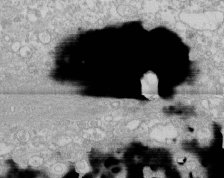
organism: Human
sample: CRL-1474